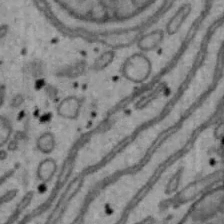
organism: Mouse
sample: Liver